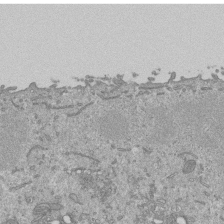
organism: Mouse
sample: ED-1 cell nuclei; centrioles